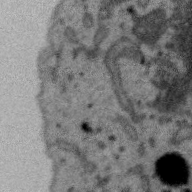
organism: Zebra finch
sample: Brain